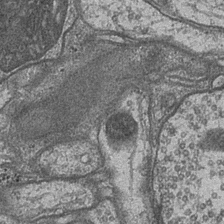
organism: Drosophila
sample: Optic medulla